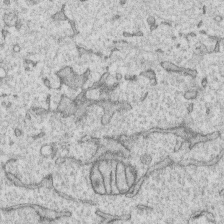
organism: Human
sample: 1205lu cells